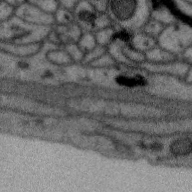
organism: Zebra finch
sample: Brain